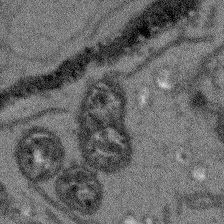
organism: Arabidopsis thaliana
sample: Root tip